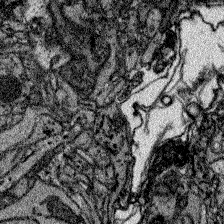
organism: Zebrafish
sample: Larval olfactory bulb